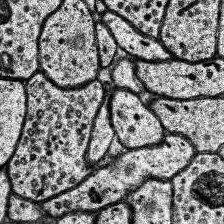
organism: Human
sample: Temporal Lobe